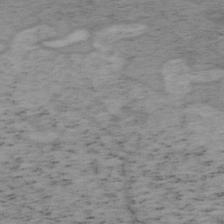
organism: Mouse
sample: OT-I killer T cells with ID8 ovarian cancer cells